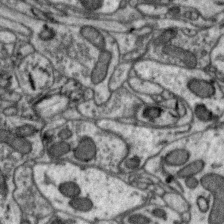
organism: Zebra finch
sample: Brain